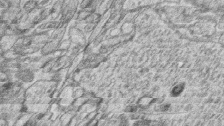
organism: Zebrafish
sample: synaptic ribbons in rod cells and cone cells